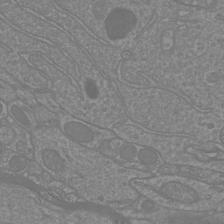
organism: Mouse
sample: Cortical neurons